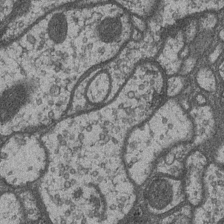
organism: Drosophila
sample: Optic medulla